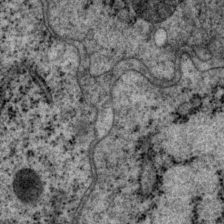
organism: P. pacificus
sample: Pharynx